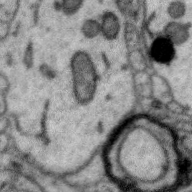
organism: Zebra finch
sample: Brain